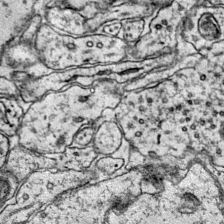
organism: Mouse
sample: Primary visual cortex